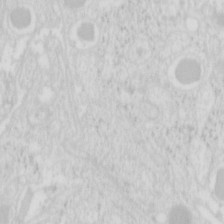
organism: Mouse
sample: Pancreas